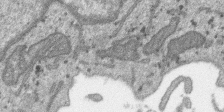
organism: Human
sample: Lung epithelial cells infected with SARS-CoV-2